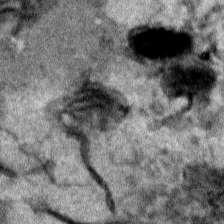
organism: Human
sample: Mitochondria in HCT116 cells